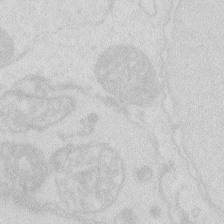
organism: Zebrafish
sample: Macrophage